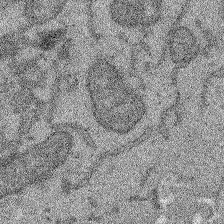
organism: Human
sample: HeLa cells